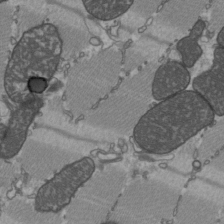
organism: C57BL Mouse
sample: Heart